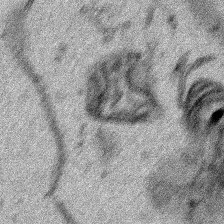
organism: Human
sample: Mitochondria in HCT116 cells